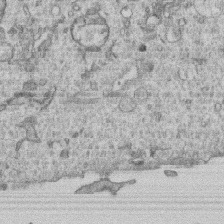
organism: Human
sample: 1205lu cells